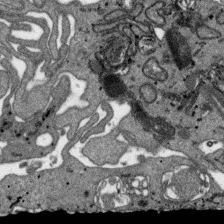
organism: Human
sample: Lung epithelial cells, uninfected (mock) control